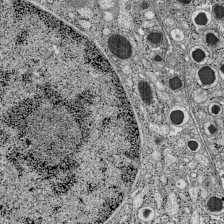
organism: C57BL Mouse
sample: Pancreatic islet